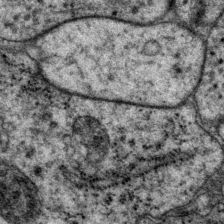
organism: P. pacificus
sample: Pharynx